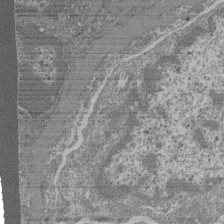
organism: Mouse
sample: Glomerulus